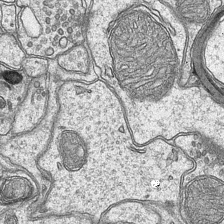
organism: Mouse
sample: CA1 Hippocampus